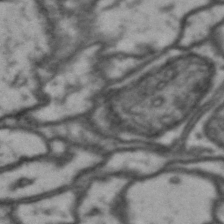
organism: Drosophila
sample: Brain